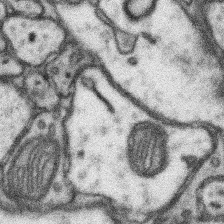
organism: Mouse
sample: Somatosensory cortex neuropil